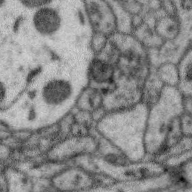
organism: Zebra finch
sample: Brain